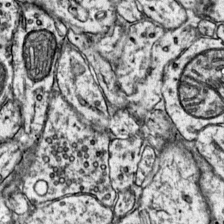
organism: Mouse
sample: Primary visual cortex